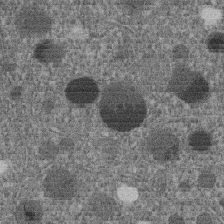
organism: C. elegans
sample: C. elegans embryo early stage